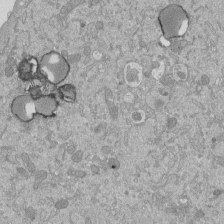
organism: Mouse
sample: ED-1 cell nuclei; centrioles